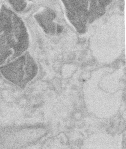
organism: Mouse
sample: T cell stromal cell synapse